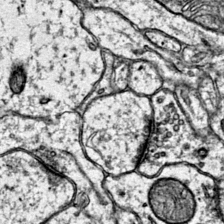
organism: Mouse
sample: Primary visual cortex